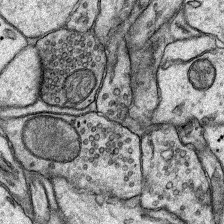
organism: Rat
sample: Hippocampus